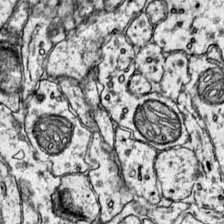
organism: Mouse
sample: Primary visual cortex